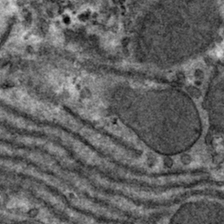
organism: Mouse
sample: Mouse hepatocytes